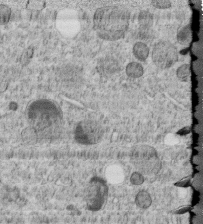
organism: C. elegans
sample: C. elegans embryo early stage